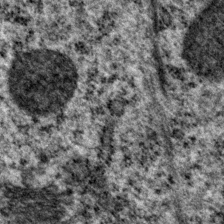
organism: P. pacificus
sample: Pharynx